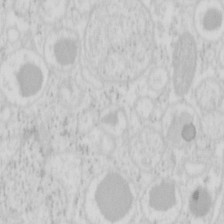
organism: Mouse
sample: Pancreas